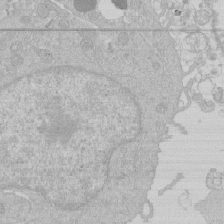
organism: Human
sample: Macrophage cells